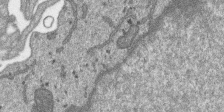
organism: Human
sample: Lung epithelial cells infected with SARS-CoV-2